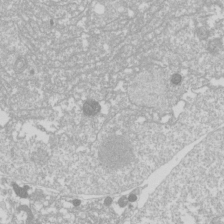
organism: Drosophila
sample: Cell division; meiosis; drosophila spermatocytes